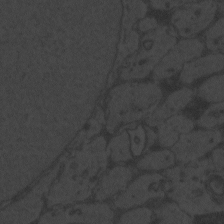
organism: Zebrafish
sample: Macrophage infected with Toxoplasma gondii